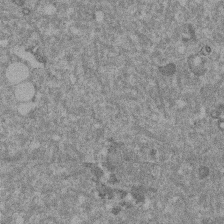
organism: Mouse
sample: Dividing mouse embryo 1 cell stage